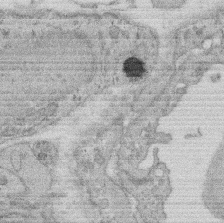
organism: Rat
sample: Salivary granule